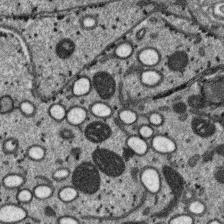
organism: Human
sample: Lung epithelial cells infected with SARS-CoV-2